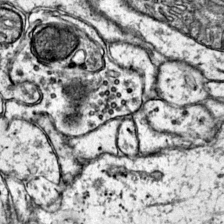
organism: Mouse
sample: Primary visual cortex